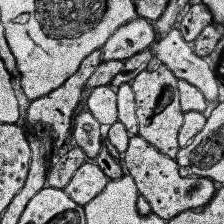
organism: Human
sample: Temporal Lobe